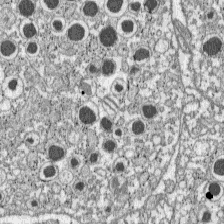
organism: C57BL Mouse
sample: Pancreatic islet